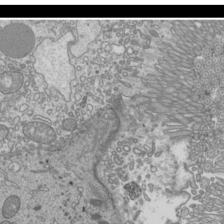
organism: Mouse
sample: Cilia; mouse epididymis